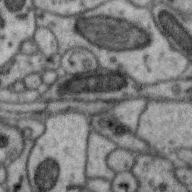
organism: Zebra finch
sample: Brain